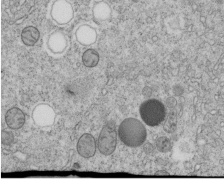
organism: C. elegans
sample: C. elegans embryo early stage